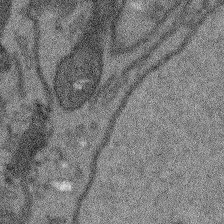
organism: Arabidopsis thaliana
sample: Root tip